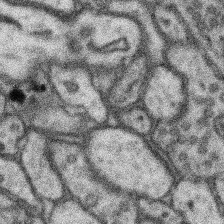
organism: Mouse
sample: Somatosensory cortex neuropil